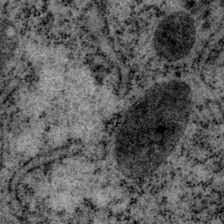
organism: P. pacificus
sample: Pharynx